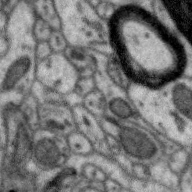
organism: Zebra finch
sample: Brain